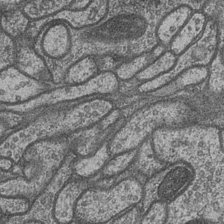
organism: Drosophila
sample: Optic medulla